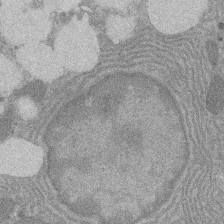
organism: Rat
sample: Salivary granule